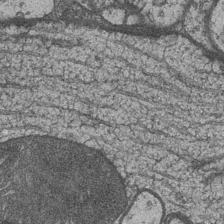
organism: Drosophila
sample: Optic medulla